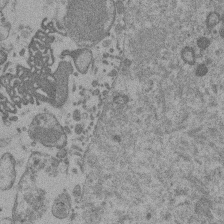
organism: Mouse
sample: Dividing mouse embryo 1 cell stage